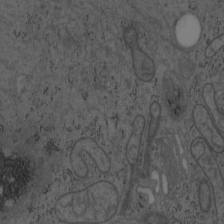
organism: Mouse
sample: OT-I killer T cells with ID8 ovarian cancer cells